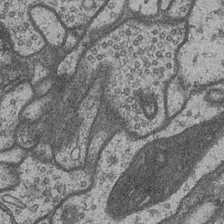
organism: Drosophila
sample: Optic medulla